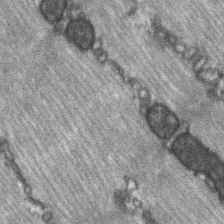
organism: C57BL Mouse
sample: Soleus